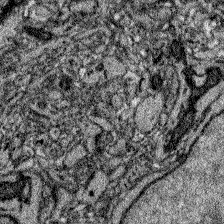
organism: Zebrafish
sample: Larval olfactory bulb